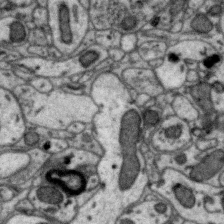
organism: Zebra finch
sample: Brain